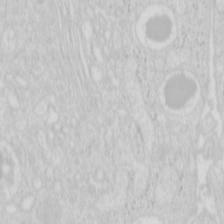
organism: Mouse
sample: Pancreas